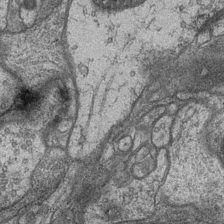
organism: Drosophila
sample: Optic medulla